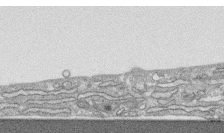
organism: Human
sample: CRL-1474